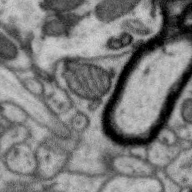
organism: Zebra finch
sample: Brain